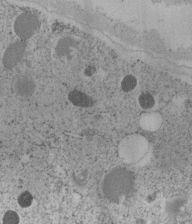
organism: C. elegans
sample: C. elegans embryo early stage